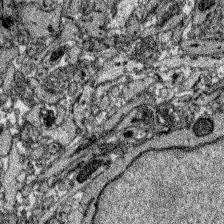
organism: Zebrafish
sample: Larval olfactory bulb